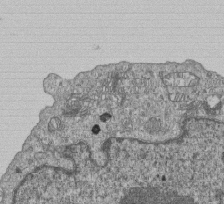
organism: Human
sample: MDA-MB-231 cells